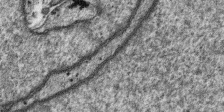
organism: Human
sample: Lung epithelial cells infected with SARS-CoV-2